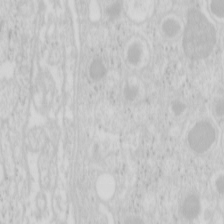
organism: Mouse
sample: Pancreas